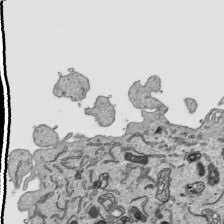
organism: Human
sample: Mitochondria in HCT116 cells